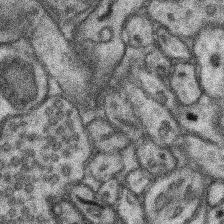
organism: Mouse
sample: Somatosensory cortex neuropil